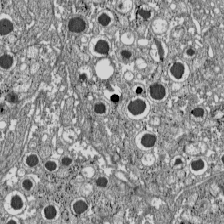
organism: C57BL Mouse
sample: Pancreatic islet